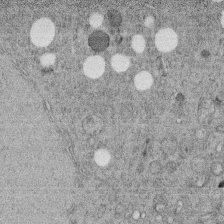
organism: C. elegans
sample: C. elegans embryo early stage